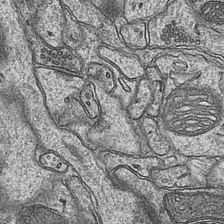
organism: Mouse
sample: CA1 Hippocampus